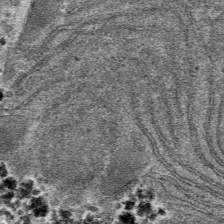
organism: Mouse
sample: Mouse hepatocytes